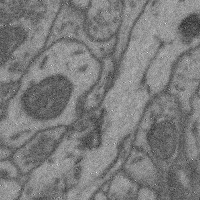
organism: Mouse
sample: Cerebral cortex